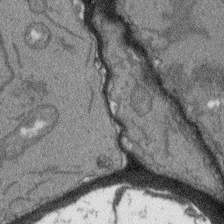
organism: Arabidopsis thaliana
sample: Root tip